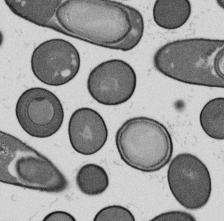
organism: B. subtilis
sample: Bacterial spore